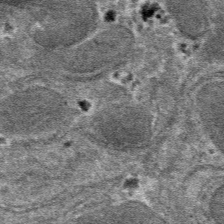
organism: Mouse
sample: Mouse hepatocytes